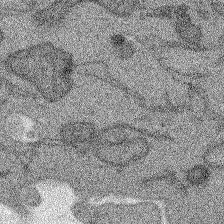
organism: Human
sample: HeLa cells